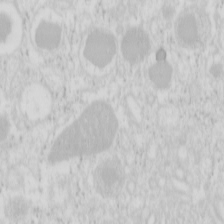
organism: Mouse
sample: Pancreas